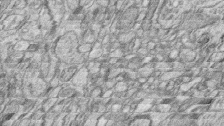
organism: Zebrafish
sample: synaptic ribbons in rod cells and cone cells